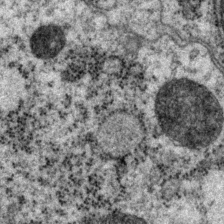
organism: P. pacificus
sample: Pharynx